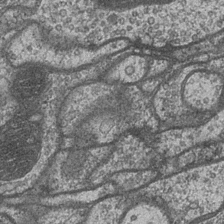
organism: Drosophila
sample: Optic medulla